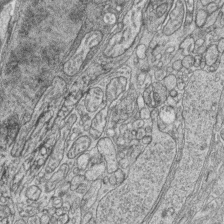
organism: Zebrafish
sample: synaptic ribbons in rod cells and cone cells